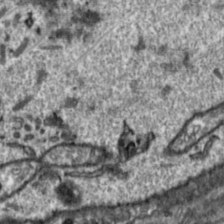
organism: Toxoplasma gondii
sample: Parasites in a vacuole inside a host cell